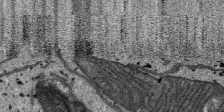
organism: Human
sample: Lung epithelial cells, uninfected (mock) control